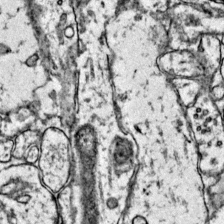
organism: Mouse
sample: Primary visual cortex